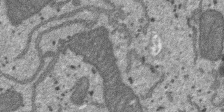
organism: Human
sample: Lung epithelial cells infected with SARS-CoV-2